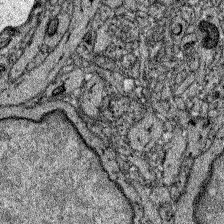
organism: Zebrafish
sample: Larval olfactory bulb